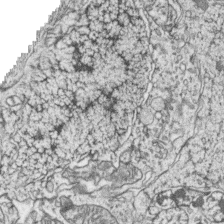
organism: Zebrafish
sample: synaptic ribbons in rod cells and cone cells